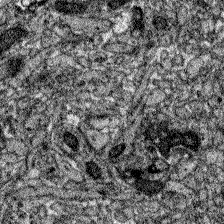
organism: Zebrafish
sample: Larval olfactory bulb